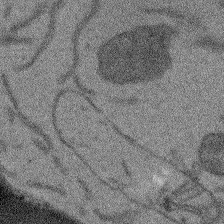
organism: Arabidopsis thaliana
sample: Root tip